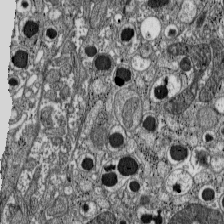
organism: C57BL Mouse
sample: Pancreatic islet